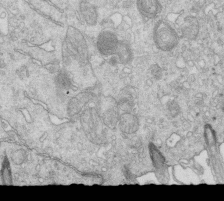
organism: Mouse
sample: Multiciliated cells